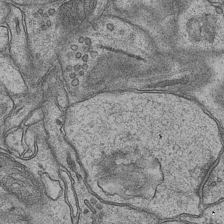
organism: Mouse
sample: CA1 Hippocampus